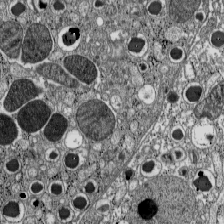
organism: C57BL Mouse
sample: Pancreatic islet